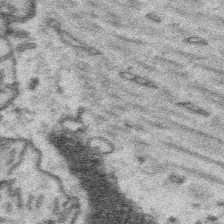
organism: Platynereis dumerilii